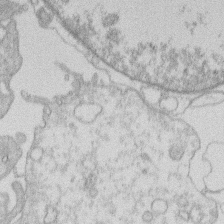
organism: Human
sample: Macrophage cells